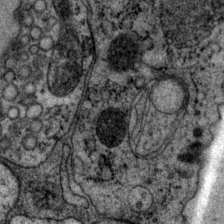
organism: P. pacificus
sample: Pharynx